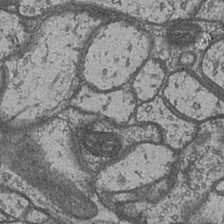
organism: Drosophila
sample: Optic medulla